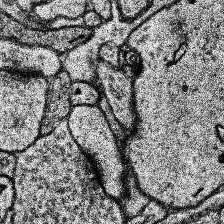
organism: Human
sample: Temporal Lobe